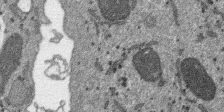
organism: Human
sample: Lung epithelial cells infected with SARS-CoV-2